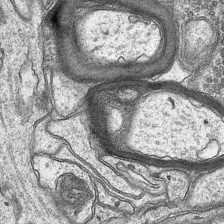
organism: Mouse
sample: CA1 Hippocampus